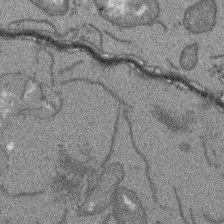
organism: Arabidopsis thaliana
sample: Root tip